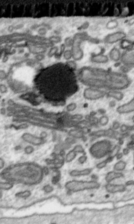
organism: Toxoplasma gondii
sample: Parasites in a vacuole inside a host cell